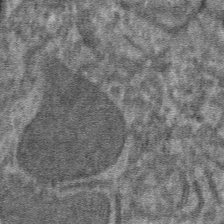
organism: Mouse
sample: Mouse hepatocytes